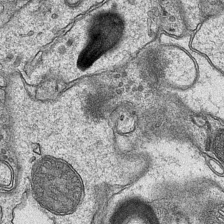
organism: Mouse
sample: CA1 Hippocampus